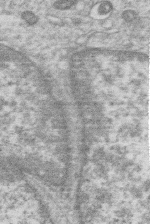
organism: Human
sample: Macrophage cells